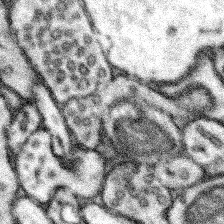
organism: Mouse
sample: Somatosensory cortex neuropil